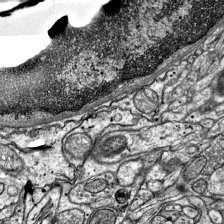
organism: Mouse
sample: Visual Cortex